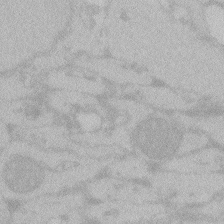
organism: Zebrafish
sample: Macrophage infected with Toxoplasma gondii